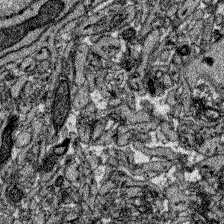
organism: Zebrafish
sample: Larval olfactory bulb